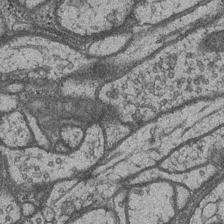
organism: Drosophila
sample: Optic medulla